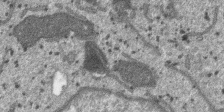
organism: Human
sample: Lung epithelial cells infected with SARS-CoV-2